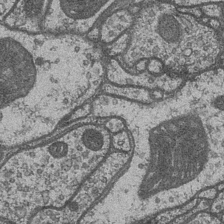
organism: Drosophila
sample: Optic medulla